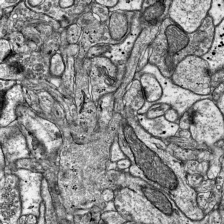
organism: Mouse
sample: Visual Cortex